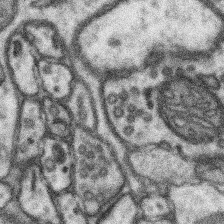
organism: Mouse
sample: Somatosensory cortex neuropil